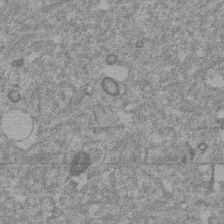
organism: Mouse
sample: Dividing mouse embryo 1 cell stage